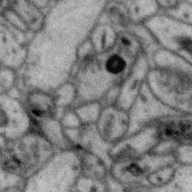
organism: Zebra finch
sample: Brain